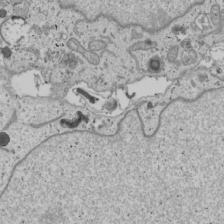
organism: Human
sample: Mitochondria in U2OS cells